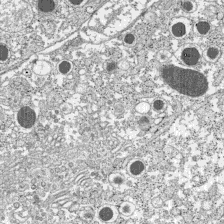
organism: C57BL Mouse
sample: Pancreatic islet